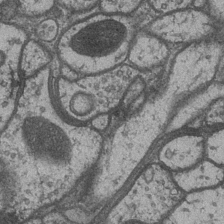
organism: Drosophila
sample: Optic medulla